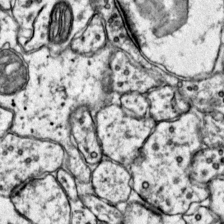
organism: Mouse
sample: Primary visual cortex